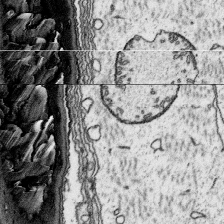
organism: Platynereis dumerilii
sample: Parapodia